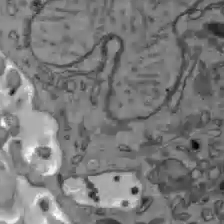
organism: C57BL Mouse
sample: Liver